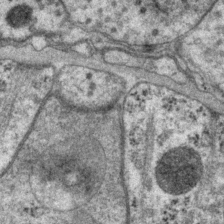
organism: P. pacificus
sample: Pharynx